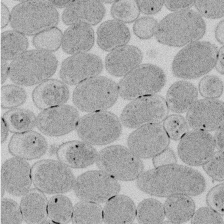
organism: E. coli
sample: Bacterial nucleoid